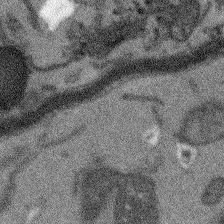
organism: Arabidopsis thaliana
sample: Root tip